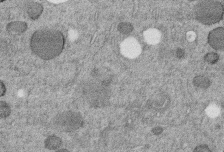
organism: C. elegans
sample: C. elegans embryo early stage